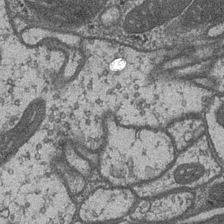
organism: Drosophila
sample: Optic medulla